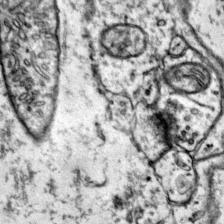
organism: Mouse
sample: Primary visual cortex